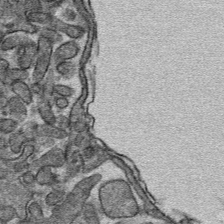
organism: Mouse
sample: Mouse hepatocytes